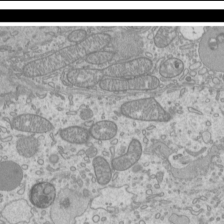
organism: Mouse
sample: Cilia; mouse epididymis